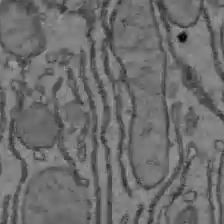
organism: C57BL Mouse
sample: Liver